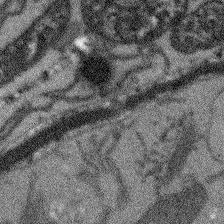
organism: Arabidopsis thaliana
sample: Root tip